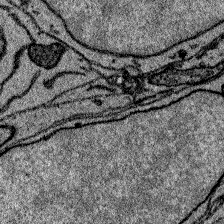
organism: Zebrafish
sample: Larval olfactory bulb